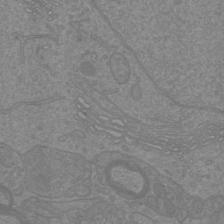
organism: Mouse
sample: Cortical neurons